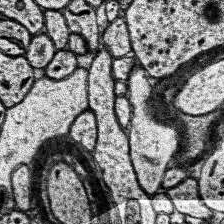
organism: Human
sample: Temporal Lobe